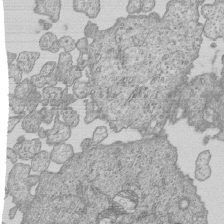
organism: Human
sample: MDA-MB-231 cells